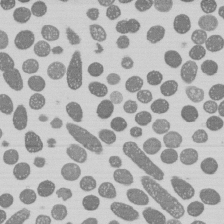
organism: E. coli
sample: Bacterial nucleoid